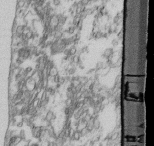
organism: Mouse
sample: Cilia; retinal pigment epithelium